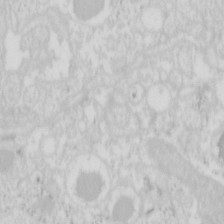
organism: Mouse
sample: Pancreas